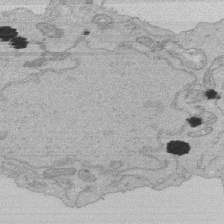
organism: Human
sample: Activated Jurkat CD4+ T cells